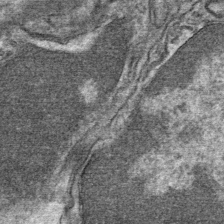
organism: Mouse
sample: Mouse Salivary gland